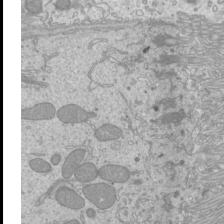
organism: Mouse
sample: Cilia; mouse epididymis